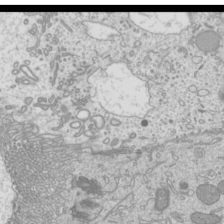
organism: Mouse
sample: Cilia; mouse epididymis